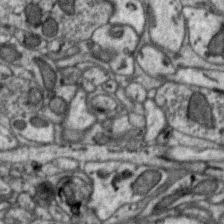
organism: Zebra finch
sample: Brain